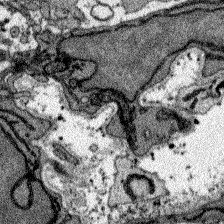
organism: Zebrafish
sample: Larval olfactory bulb